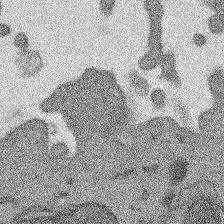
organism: Human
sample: HeLa cells